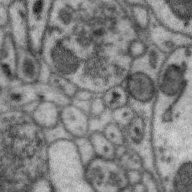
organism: Zebra finch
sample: Brain